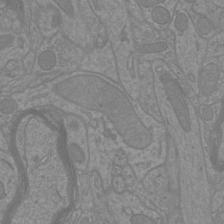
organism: Mouse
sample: Cortical neurons